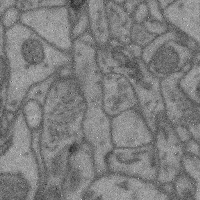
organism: Mouse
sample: Cerebral cortex